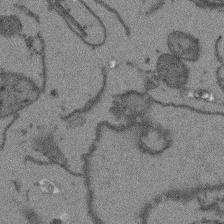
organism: Arabidopsis thaliana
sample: Root tip